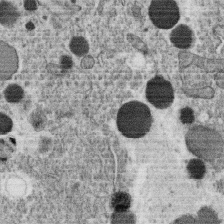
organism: C. elegans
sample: C. elegans oocyte; sperm cells